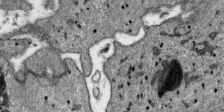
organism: Human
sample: Lung epithelial cells, uninfected (mock) control